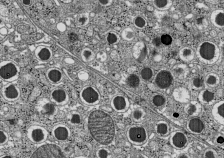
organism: C57BL Mouse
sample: Pancreatic islet